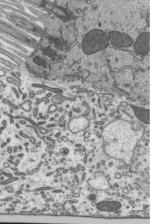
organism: Mouse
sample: Mouse epididymis efferent ductule cilia